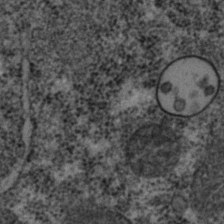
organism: C. elegans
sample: C. elegans embryo